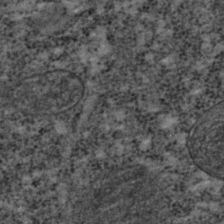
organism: C. elegans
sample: C. elegans embryo